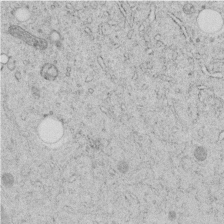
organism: C. elegans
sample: C. elegans embryo early stage